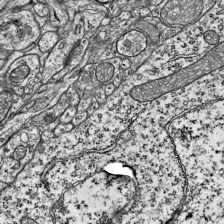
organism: Mouse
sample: Visual Cortex